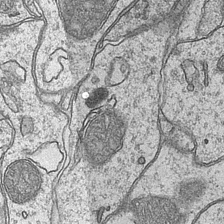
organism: Mouse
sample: CA1 Hippocampus